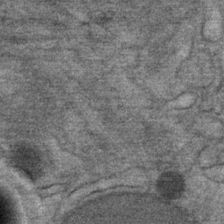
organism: Mouse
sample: Mouse Salivary gland